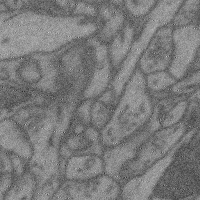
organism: Mouse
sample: Cerebral cortex